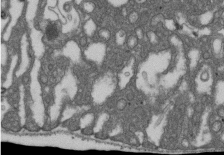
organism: Drosophila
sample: Nephrocyte